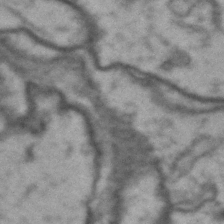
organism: Drosophila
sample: Brain